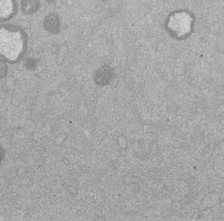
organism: Mouse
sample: Dividing mouse embryo 1 cell stage